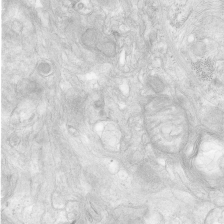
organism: Human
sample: Neocortex